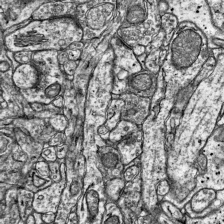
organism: Mouse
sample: Visual Cortex